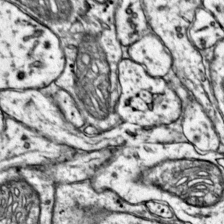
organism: Mouse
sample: Primary visual cortex